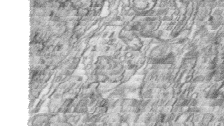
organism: Zebrafish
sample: synaptic ribbons in rod cells and cone cells